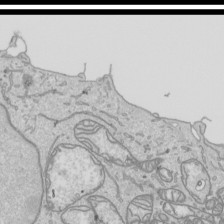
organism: Human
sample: Mitochondria in HCT116 cells